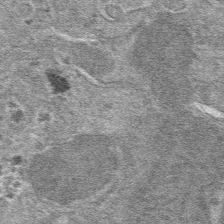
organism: Mouse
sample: Mouse hepatocytes